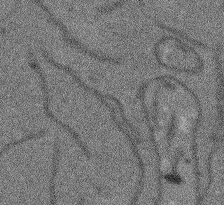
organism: Arabidopsis thaliana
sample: Root tip